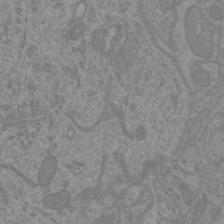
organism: Mouse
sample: Cortical neurons